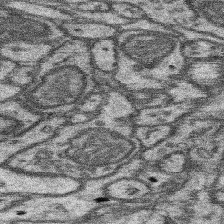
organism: Mouse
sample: Somatosensory cortex neuropil